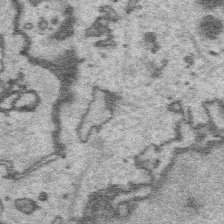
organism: Platynereis dumerilii